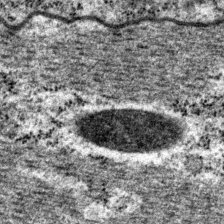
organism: P. pacificus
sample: Pharynx